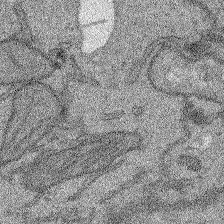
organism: Human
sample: HeLa cells